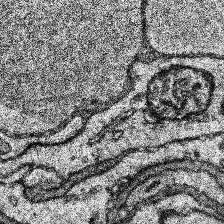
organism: Human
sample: Temporal Lobe